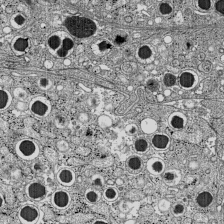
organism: C57BL Mouse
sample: Pancreatic islet